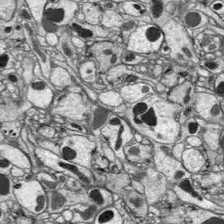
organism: Drosophila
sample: Optic lobe